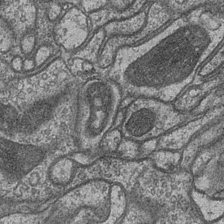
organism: Drosophila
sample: Optic medulla